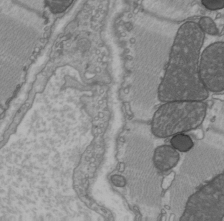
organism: C57BL Mouse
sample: Heart